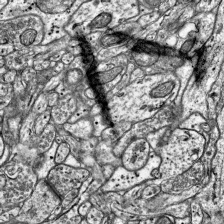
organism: Mouse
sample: Visual Cortex